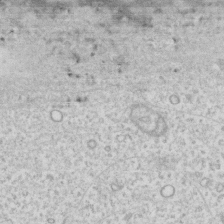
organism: Human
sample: Fibroblast cells